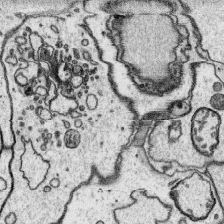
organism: Platynereis dumerilii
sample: Parapodia